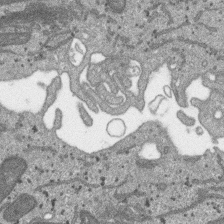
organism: Human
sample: Lung epithelial cells infected with SARS-CoV-2